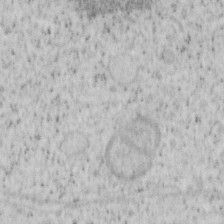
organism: Human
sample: HeLa cells